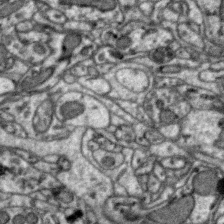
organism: Zebra finch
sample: Brain